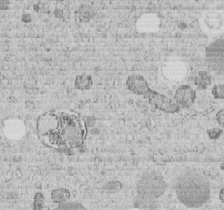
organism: C. elegans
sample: C. elegans embryo early stage